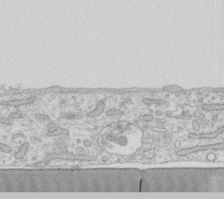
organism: Human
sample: Fibroblast cells